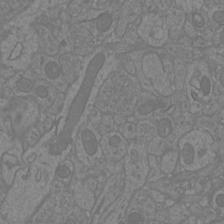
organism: Mouse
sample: Cortical neurons